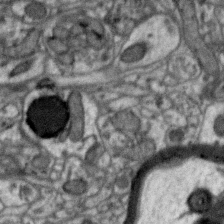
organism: Zebra finch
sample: Brain